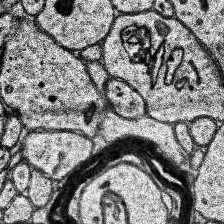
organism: Human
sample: Temporal Lobe